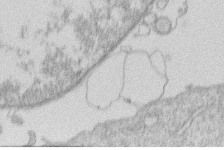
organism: Human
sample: Macrophage cells